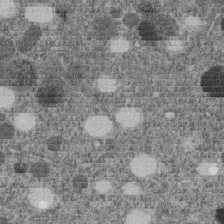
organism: C. elegans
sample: C. elegans embryo early stage